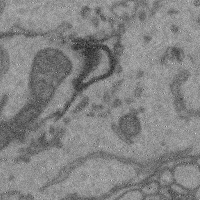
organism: Mouse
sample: Cerebral cortex